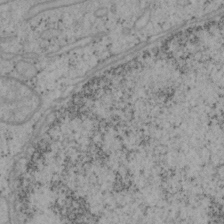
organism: Human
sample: HeLa cells